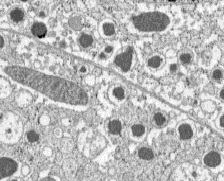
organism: C57BL Mouse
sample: Pancreatic islet